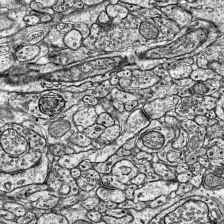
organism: Mouse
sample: Visual Cortex